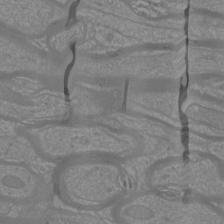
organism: Mouse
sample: Cortical neurons